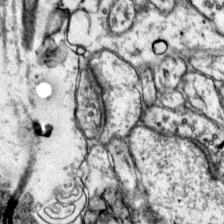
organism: Mouse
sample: Primary visual cortex